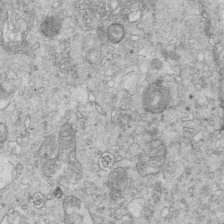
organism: Mouse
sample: Multiciliated cells